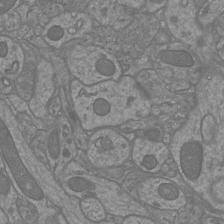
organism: Mouse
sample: Cortical neurons